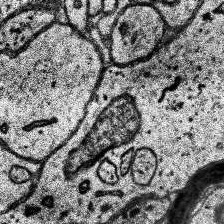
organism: Human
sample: Temporal Lobe